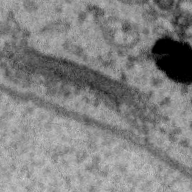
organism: Zebra finch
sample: Brain